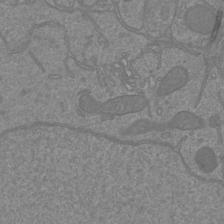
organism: Mouse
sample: Cortical neurons